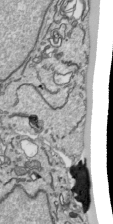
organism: Human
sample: Mitochondria in HCT116 cells